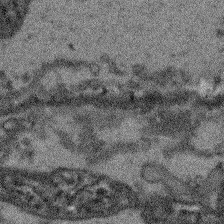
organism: Arabidopsis thaliana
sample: Root tip